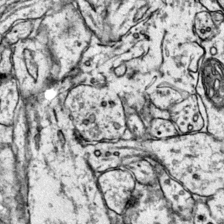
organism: Mouse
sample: Primary visual cortex